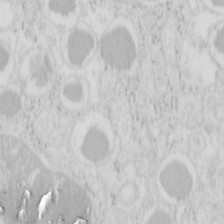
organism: Mouse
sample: Pancreas